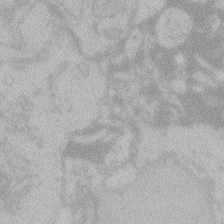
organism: Zebrafish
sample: Macrophage infected with Toxoplasma gondii